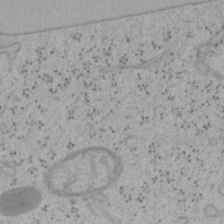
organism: Human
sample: HeLa cells